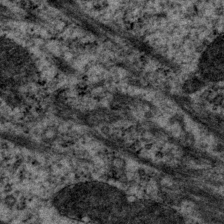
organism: P. pacificus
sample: Pharynx